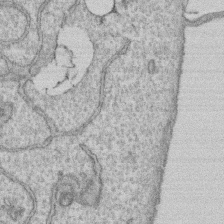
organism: Human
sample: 1205lu cells